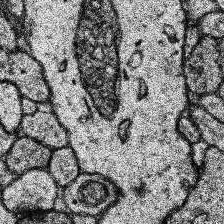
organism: Human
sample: Temporal Lobe